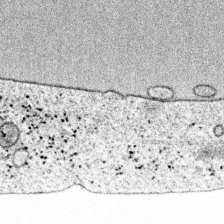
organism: Human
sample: HeLa cells